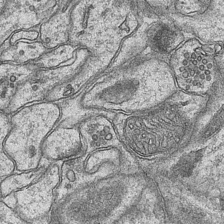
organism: Mouse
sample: CA1 Hippocampus